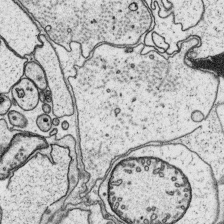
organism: Platynereis dumerilii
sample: Parapodia